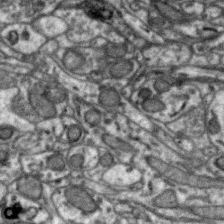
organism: Zebra finch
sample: Brain